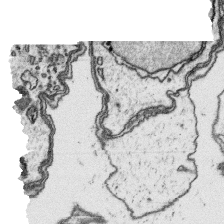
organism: Platynereis dumerilii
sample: Parapodia